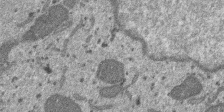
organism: Human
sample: Lung epithelial cells infected with SARS-CoV-2